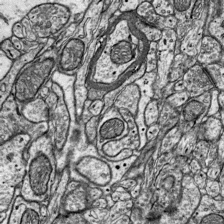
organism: Mouse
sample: Visual Cortex